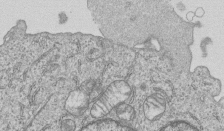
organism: Human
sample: MDA-MB-231 cells